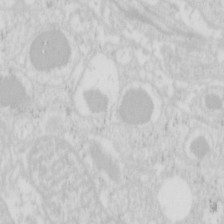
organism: Mouse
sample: Pancreas